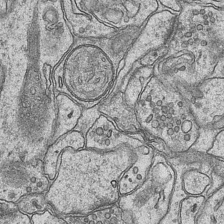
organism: Mouse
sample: CA1 Hippocampus